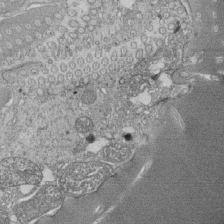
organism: Tetrahymena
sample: Cilia in tetrahymena